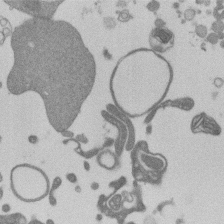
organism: Mouse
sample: Dividing mouse embryo 1 cell stage